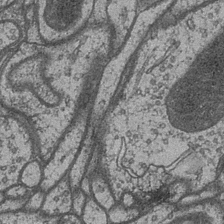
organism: Drosophila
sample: Optic medulla